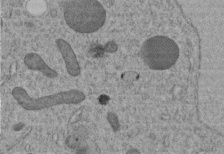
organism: C. elegans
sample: C. elegans embryo early stage